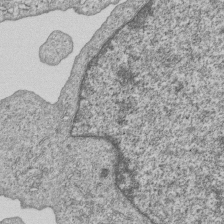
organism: Human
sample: MDA-MB-231 cells